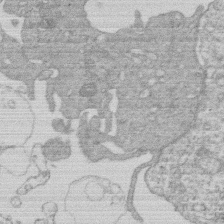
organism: Human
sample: Macrophage cells